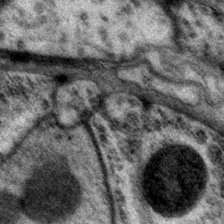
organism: P. pacificus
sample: Pharynx